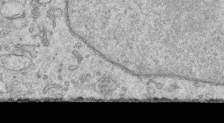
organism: Human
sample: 1205lu cells